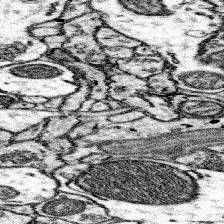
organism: Mouse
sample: Somatosensory cortex neuropil